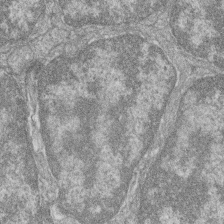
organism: Zebrafish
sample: Cilia; retinal pigment epithelium